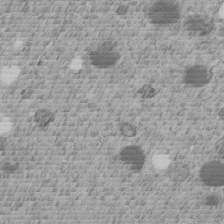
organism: C. elegans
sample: C. elegans embryo early stage